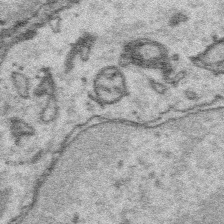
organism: Platynereis dumerilii